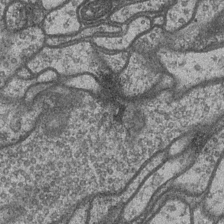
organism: Drosophila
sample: Optic medulla